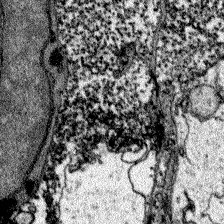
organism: Zebrafish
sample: Larval olfactory bulb